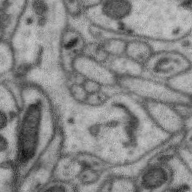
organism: Zebra finch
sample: Brain